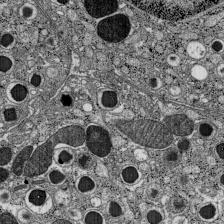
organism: C57BL Mouse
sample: Pancreatic islet